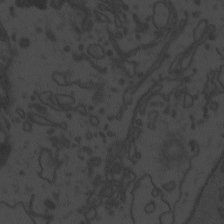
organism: Zebrafish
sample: Macrophage infected with Toxoplasma gondii